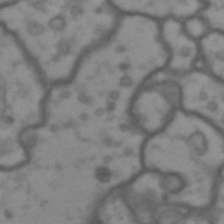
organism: Drosophila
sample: Brain